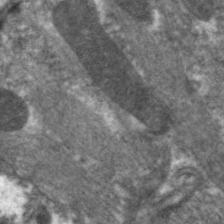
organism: C. elegans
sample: Pharynx